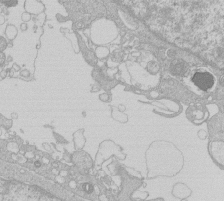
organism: Human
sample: Macrophage cells